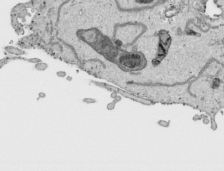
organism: Human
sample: Mitochondria in HCT116 cells